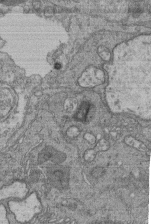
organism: Human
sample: Retinal organoid Rod and Cone cells